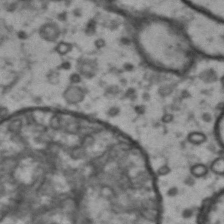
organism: Drosophila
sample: Brain